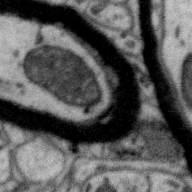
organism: Zebra finch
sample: Brain